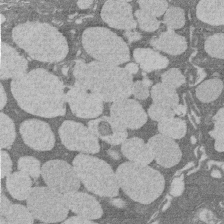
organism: Rat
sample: Salivary granule